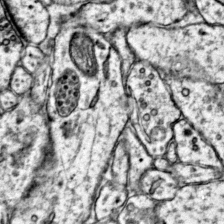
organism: Mouse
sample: Primary visual cortex